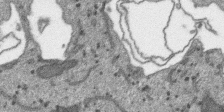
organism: Human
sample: Lung epithelial cells infected with SARS-CoV-2